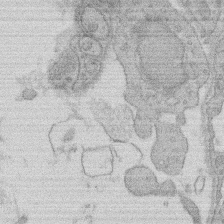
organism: Rat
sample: Salivary granule